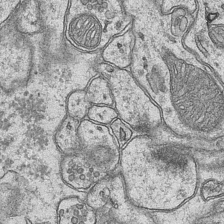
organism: Mouse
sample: CA1 Hippocampus